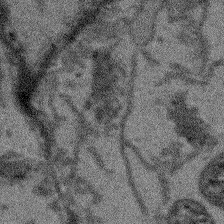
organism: Arabidopsis thaliana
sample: Root tip